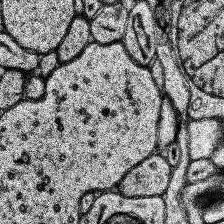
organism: Human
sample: Temporal Lobe